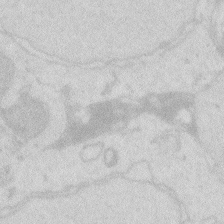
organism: Zebrafish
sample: Macrophage